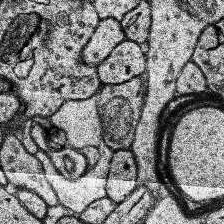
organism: Human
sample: Temporal Lobe